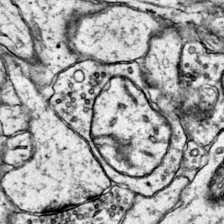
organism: Mouse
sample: Primary visual cortex